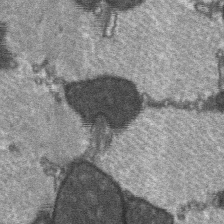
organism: C57BL Mouse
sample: Soleus